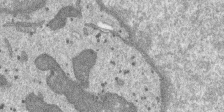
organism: Human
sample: Lung epithelial cells infected with SARS-CoV-2